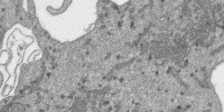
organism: Human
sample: Lung epithelial cells infected with SARS-CoV-2